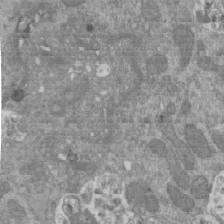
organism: Mouse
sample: ED-1 cell nuclei; centrioles